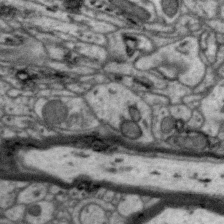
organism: Zebra finch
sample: Brain